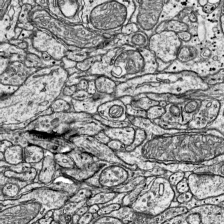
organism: Mouse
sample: Visual Cortex